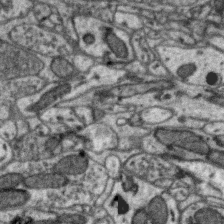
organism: Zebra finch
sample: Brain